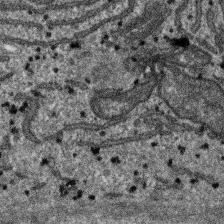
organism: Human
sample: Lung epithelial cells infected with SARS-CoV-2